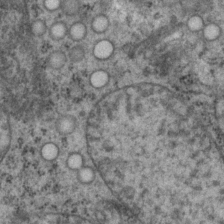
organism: P. pacificus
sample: Pharynx